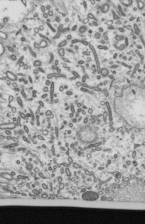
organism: Mouse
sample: Mouse epididymis efferent ductule cilia